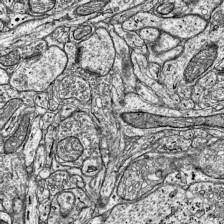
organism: Mouse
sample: Visual Cortex